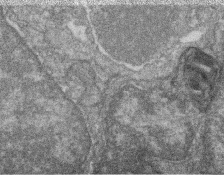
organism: Zebrafish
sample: Cilia; retinal pigment epithelium